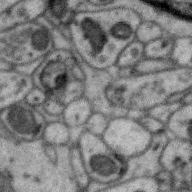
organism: Zebra finch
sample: Brain